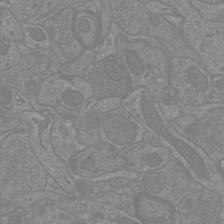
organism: Mouse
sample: Cortical neurons